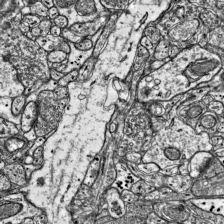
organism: Mouse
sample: Visual Cortex